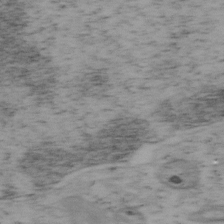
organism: Mouse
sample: OT-I killer T cells with ID8 ovarian cancer cells